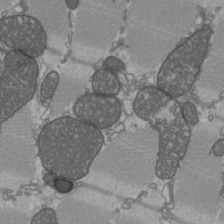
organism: C57BL Mouse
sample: Heart